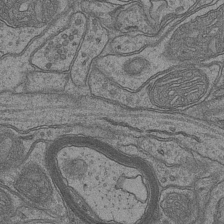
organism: Mouse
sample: CA1 Hippocampus